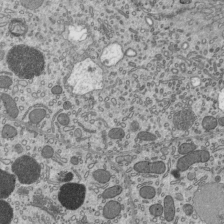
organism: Mouse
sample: Mouse epididymis efferent ductule cilia